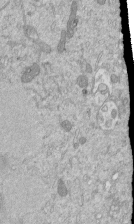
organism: Mouse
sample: ED-1 cell nuclei; centrioles